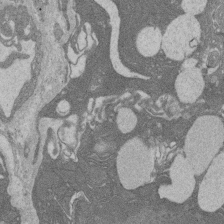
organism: Rat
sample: Salivary granule